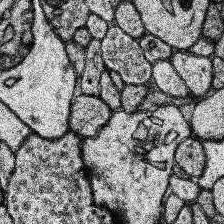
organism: Human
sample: Temporal Lobe